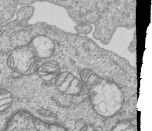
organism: Human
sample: MDA-MB-231 cells